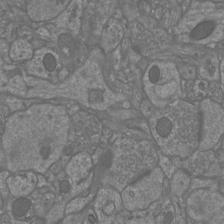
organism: Mouse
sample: Cortical neurons